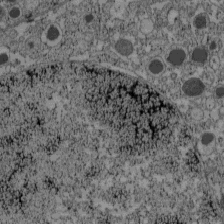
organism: C57BL Mouse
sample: Pancreatic islet